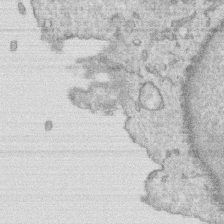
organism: Human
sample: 1205lu cells